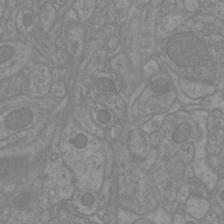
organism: Mouse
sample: Cortical neurons